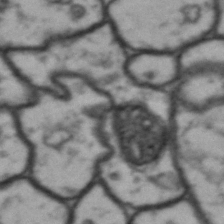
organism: Drosophila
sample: Brain